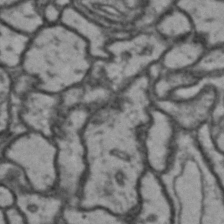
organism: Drosophila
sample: Brain